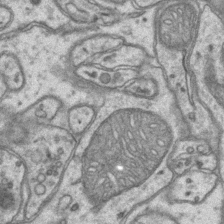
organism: Mouse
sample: CA1 Hippocampus